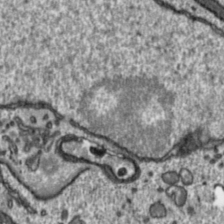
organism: Toxoplasma gondii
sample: Parasites in a vacuole inside a host cell